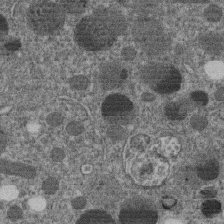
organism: C. elegans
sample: C. elegans embryo early stage